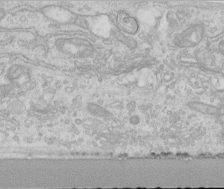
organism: Human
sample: Centriole in RPE cells